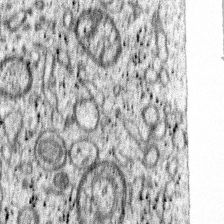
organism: Human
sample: HeLa cells